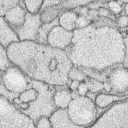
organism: Rabbit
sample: Retina